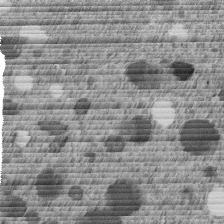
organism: C. elegans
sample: C. elegans embryo early stage